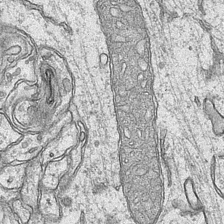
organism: Mouse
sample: CA1 Hippocampus